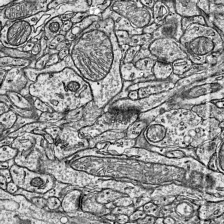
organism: Mouse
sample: Visual Cortex